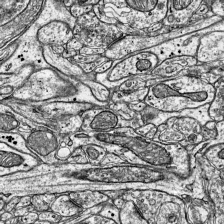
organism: Mouse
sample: Visual Cortex